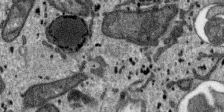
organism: Human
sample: Lung epithelial cells, uninfected (mock) control